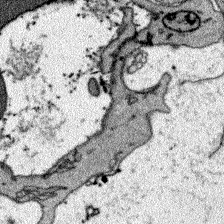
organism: Zebrafish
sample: Larval olfactory bulb